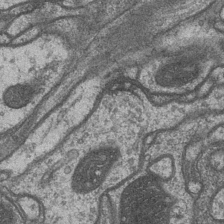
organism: Drosophila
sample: Optic medulla